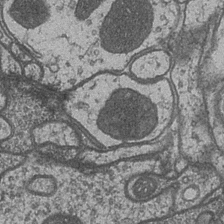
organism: Drosophila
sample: Optic medulla